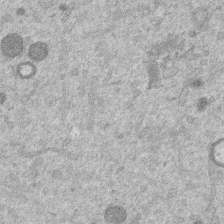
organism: Mouse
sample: Dividing mouse embryo 1 cell stage